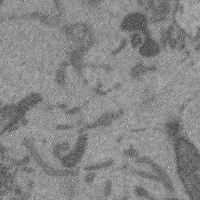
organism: Mouse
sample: Cerebral cortex